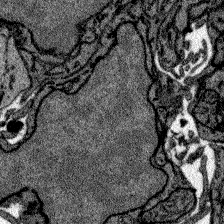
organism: Zebrafish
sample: Larval olfactory bulb